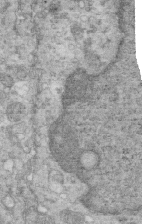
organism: Mouse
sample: Multiciliated cells